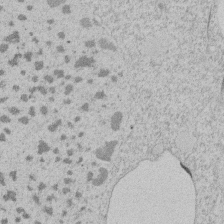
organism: Tetrahymena